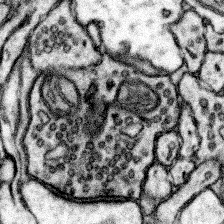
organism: Mouse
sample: Somatosensory cortex neuropil